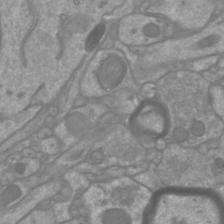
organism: Mouse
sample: Cortical neurons